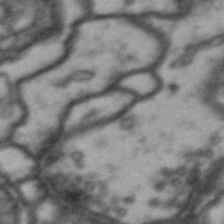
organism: Drosophila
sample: Brain